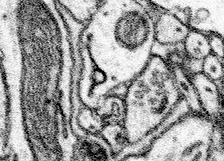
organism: Mouse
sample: Somatosensory cortex neuropil